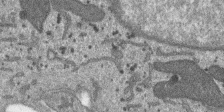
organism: Human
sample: Lung epithelial cells infected with SARS-CoV-2